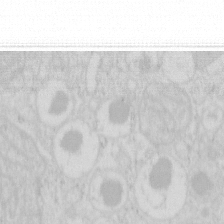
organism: Mouse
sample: Pancreas